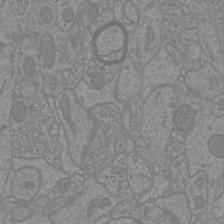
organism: Mouse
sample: Cortical neurons